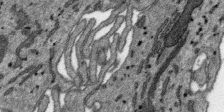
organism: Human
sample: Lung epithelial cells, uninfected (mock) control